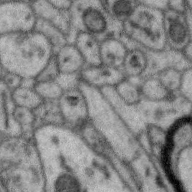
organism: Zebra finch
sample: Brain